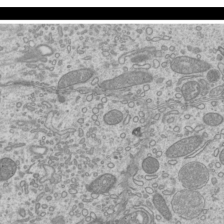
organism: Mouse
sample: Cilia; mouse epididymis